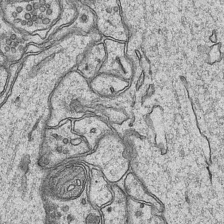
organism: Mouse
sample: CA1 Hippocampus